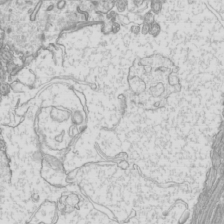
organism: Mouse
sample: Cilia; mouse epididymis